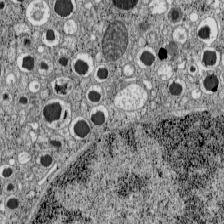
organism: C57BL Mouse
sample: Pancreatic islet